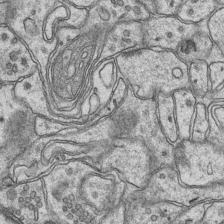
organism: Mouse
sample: CA1 Hippocampus